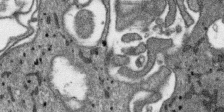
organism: Human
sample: Lung epithelial cells, uninfected (mock) control